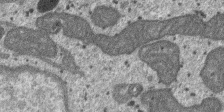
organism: Human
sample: Lung epithelial cells infected with SARS-CoV-2